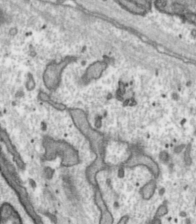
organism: Toxoplasma gondii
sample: Parasites in a vacuole inside a host cell